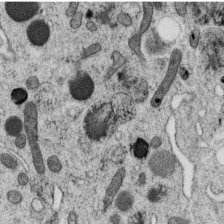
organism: C. elegans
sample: C. elegans oocyte; sperm cells